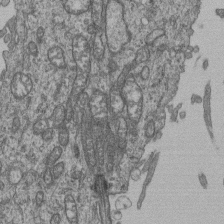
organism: Human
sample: Retinal organoid Rod and Cone cells